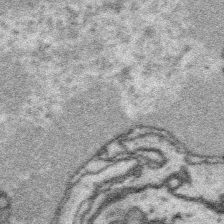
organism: Platynereis dumerilii